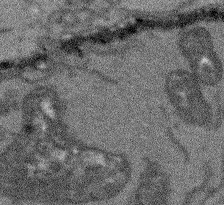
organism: Arabidopsis thaliana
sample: Root tip